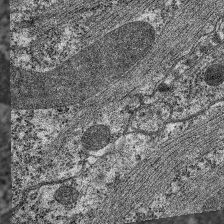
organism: C. elegans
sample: Pharynx